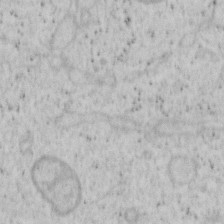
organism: Human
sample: HeLa cells